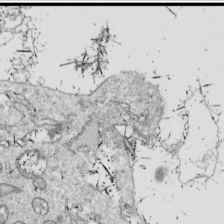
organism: Drosophila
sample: Cell division; meiosis; drosophila spermatocytes